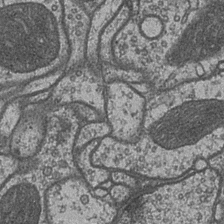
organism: Drosophila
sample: Optic medulla